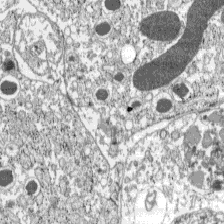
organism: C57BL Mouse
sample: Pancreatic islet